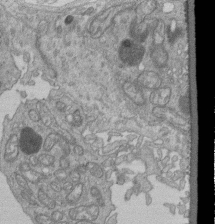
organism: Human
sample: Retinal organoid Rod and Cone cells